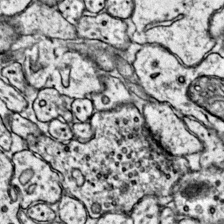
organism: Mouse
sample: Primary visual cortex